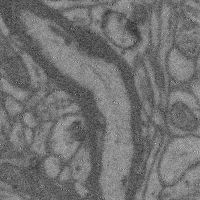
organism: Mouse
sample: Cerebral cortex